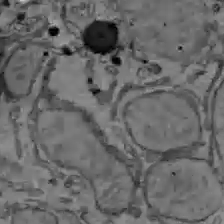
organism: C57BL Mouse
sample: Liver